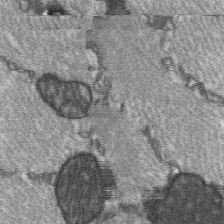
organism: C57BL Mouse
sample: Soleus